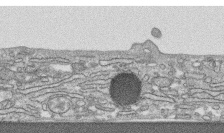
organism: Human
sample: CRL-1474